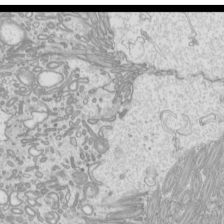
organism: Mouse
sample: Cilia; mouse epididymis